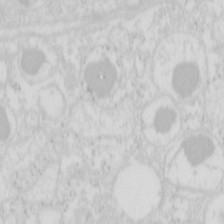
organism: Mouse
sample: Pancreas